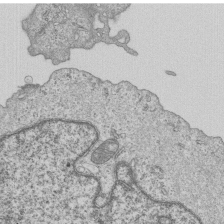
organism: Human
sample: MDA-MB-231 cells